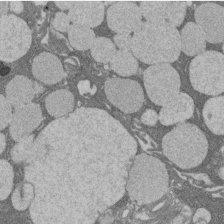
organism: Rat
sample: Salivary granule